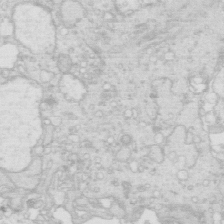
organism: Mouse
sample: Multiciliated cells